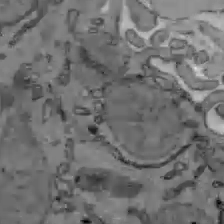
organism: C57BL Mouse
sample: Liver